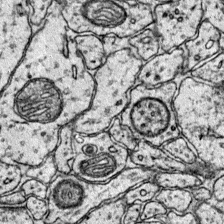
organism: Mouse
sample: Primary visual cortex